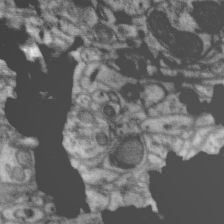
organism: Zebra finch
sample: Brain